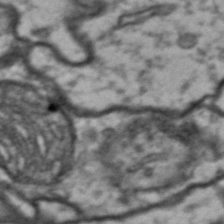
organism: Drosophila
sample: Brain